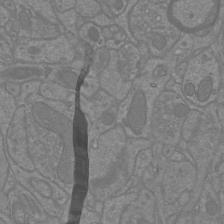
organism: Mouse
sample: Cortical neurons